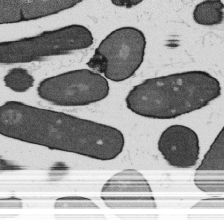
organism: B. subtilis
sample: Bacterial spore